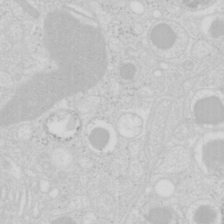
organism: Mouse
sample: Pancreas